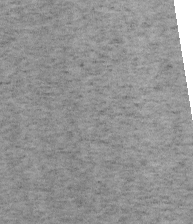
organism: Mouse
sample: OT-I killer T cells with ID8 ovarian cancer cells